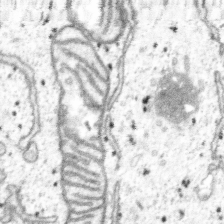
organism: Human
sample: HeLa cells